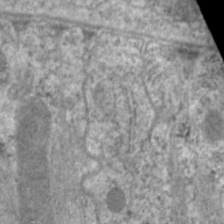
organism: C. elegans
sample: Pharynx